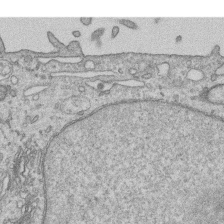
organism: Human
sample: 1205lu cells